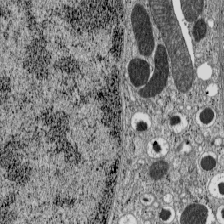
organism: C57BL Mouse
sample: Pancreatic islet